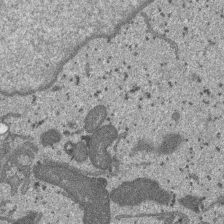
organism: Human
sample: Lung epithelial cells infected with SARS-CoV-2